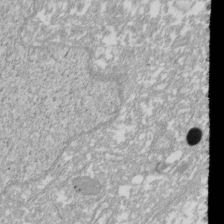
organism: Xenopus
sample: Cilia; centrioles in frog embryo cells